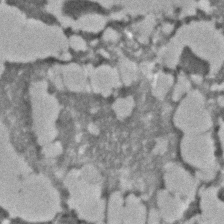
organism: C. elegans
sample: C. elegans embryo